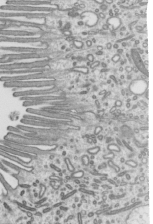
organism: Mouse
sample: Mouse epididymis efferent ductule cilia